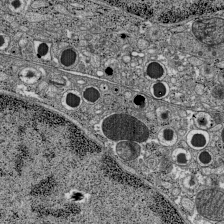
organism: C57BL Mouse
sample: Pancreatic islet